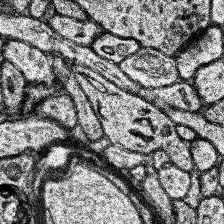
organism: Human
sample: Temporal Lobe